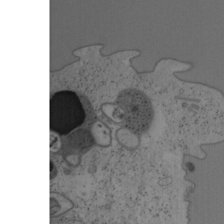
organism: Mouse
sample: OT-I killer T cells with ID8 ovarian cancer cells